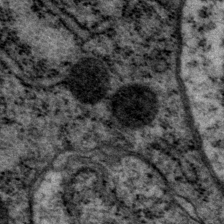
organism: P. pacificus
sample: Pharynx